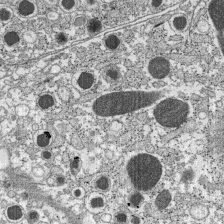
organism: C57BL Mouse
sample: Pancreatic islet